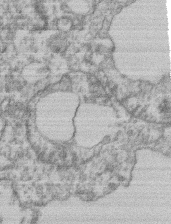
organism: Mouse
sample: T cell stromal cell synapse